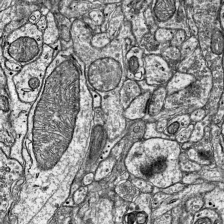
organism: Mouse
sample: Visual Cortex